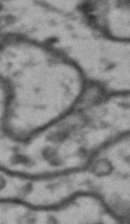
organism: Drosophila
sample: Brain